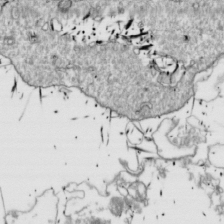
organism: Drosophila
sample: Cell division; meiosis; drosophila spermatocytes